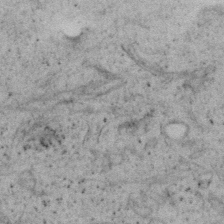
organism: Human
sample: HeLa cells